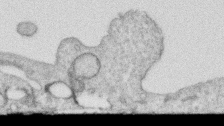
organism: Human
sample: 1205lu cells